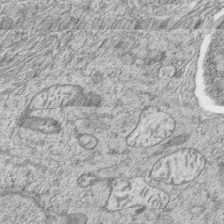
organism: Zebrafish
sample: synaptic ribbons in rod cells and cone cells